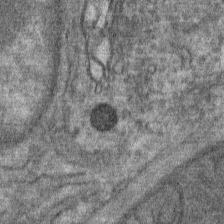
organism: Mouse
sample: Mouse Salivary gland